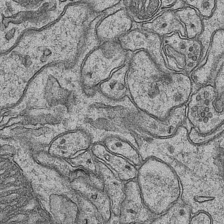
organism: Mouse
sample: CA1 Hippocampus